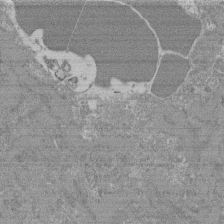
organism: Mouse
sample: Glomerulus